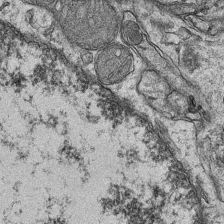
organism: Mouse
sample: CA1 Hippocampus